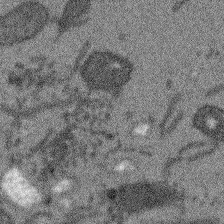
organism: Arabidopsis thaliana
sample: Root tip